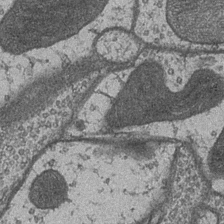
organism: Drosophila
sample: Optic medulla